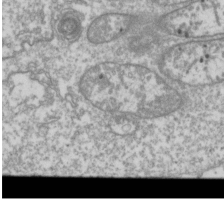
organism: Drosophila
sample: Cell division; meiosis; drosophila spermatocytes